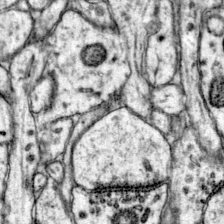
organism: Mouse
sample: Primary visual cortex